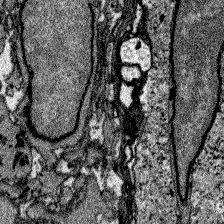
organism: Zebrafish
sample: Larval olfactory bulb